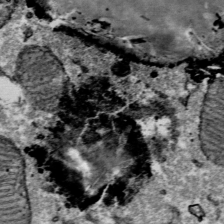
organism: Mouse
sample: Mouse Salivary gland